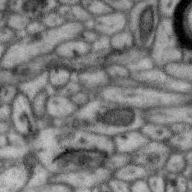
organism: Zebra finch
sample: Brain